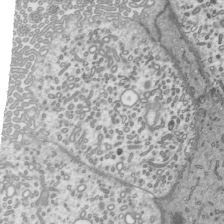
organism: Mouse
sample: Mouse epididymis efferent ductule cilia